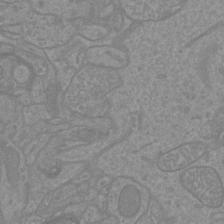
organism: Mouse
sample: Cortical neurons